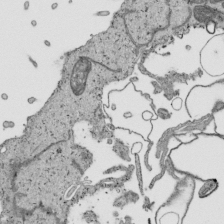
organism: Human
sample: Mitochondria in HCT116 cells